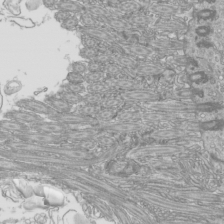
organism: Mouse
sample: Cilia; mouse epididymis